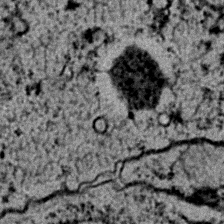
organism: C. elegans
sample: C. elegans embryo